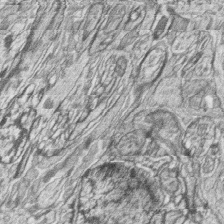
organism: Zebrafish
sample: synaptic ribbons in rod cells and cone cells